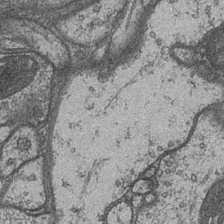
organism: Drosophila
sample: Optic medulla